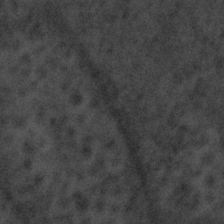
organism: Tuwongella immobilis